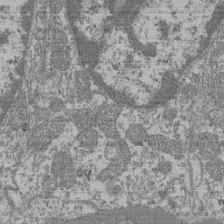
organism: Mouse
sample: Glomerulus